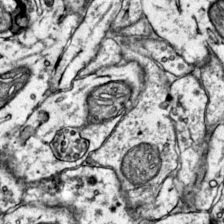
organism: Mouse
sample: Primary visual cortex